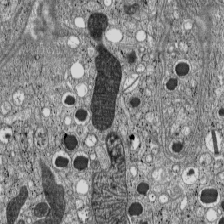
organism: C57BL Mouse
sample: Pancreatic islet